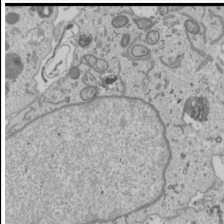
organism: Human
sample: Mitochondria in U2OS cells